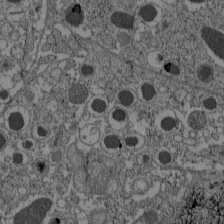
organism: C57BL Mouse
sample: Pancreatic islet